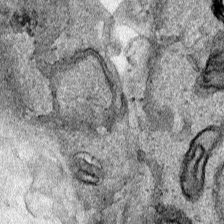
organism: Human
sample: Mitochondria in HCT116 cells